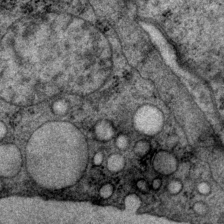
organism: P. pacificus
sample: Pharynx